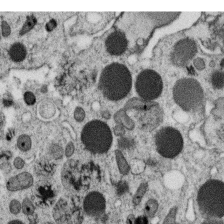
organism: C. elegans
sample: C. elegans oocyte; sperm cells